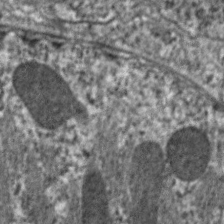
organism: C. elegans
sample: Pharynx